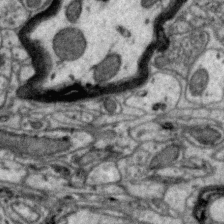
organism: Zebra finch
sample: Brain